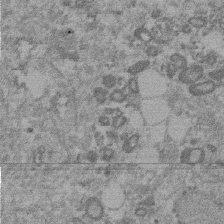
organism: Mouse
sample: Dividing mouse embryo 1 cell stage